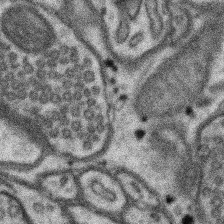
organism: Mouse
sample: Somatosensory cortex neuropil